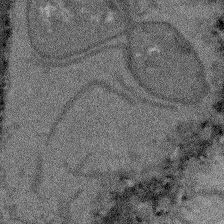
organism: Arabidopsis thaliana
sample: Root tip